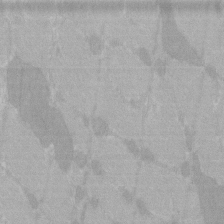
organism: C57BL Mouse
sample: Tibialis anterior muscle cell